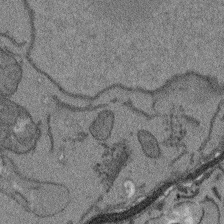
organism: Arabidopsis thaliana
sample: Root tip